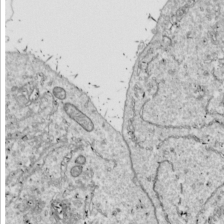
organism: Drosophila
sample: Cell division; meiosis; drosophila spermatocytes